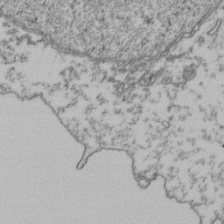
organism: Human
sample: Activated Jurkat CD4+ T cells